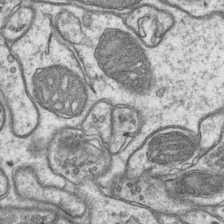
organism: Mouse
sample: CA1 Hippocampus